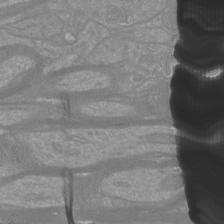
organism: Mouse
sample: Cortical neurons